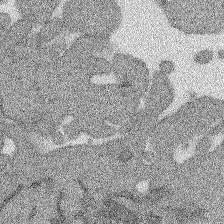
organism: Human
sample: HeLa cells